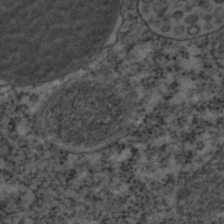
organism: C. elegans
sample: C. elegans embryo